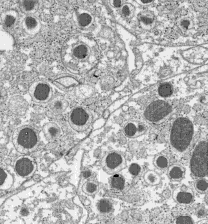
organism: C57BL Mouse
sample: Pancreatic islet